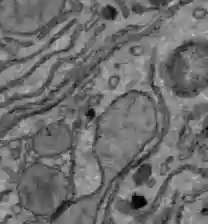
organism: C57BL Mouse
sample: Liver